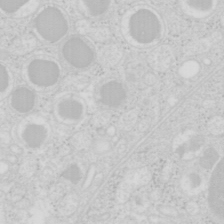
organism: Mouse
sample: Pancreas